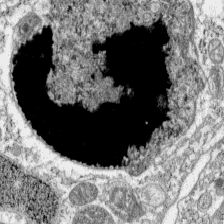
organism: C57BL Mouse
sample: Pancreatic islet